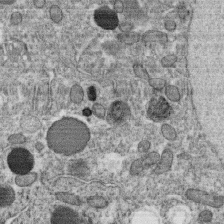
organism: C. elegans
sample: C. elegans oocyte; sperm cells